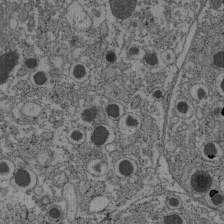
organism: C57BL Mouse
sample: Pancreatic islet